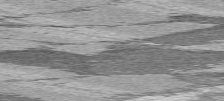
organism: C57BL Mouse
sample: Heart